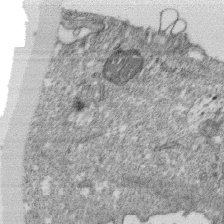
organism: African green monkey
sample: Vero E6 cells infected with SARS-CoV-2